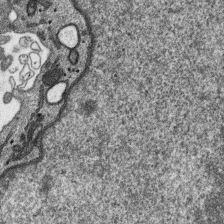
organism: Human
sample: Lung epithelial cells infected with SARS-CoV-2